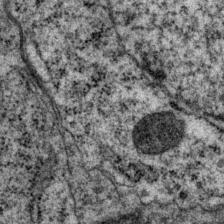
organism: P. pacificus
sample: Pharynx